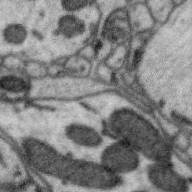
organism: Zebra finch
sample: Brain